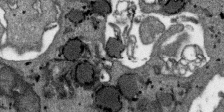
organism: Human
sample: Lung epithelial cells, uninfected (mock) control